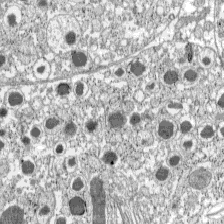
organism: C57BL Mouse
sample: Pancreatic islet